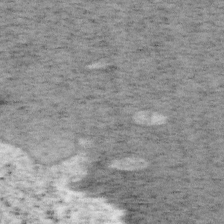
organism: Mouse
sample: OT-I killer T cells with ID8 ovarian cancer cells